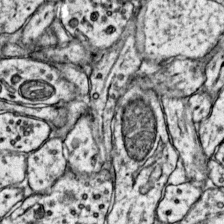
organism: Mouse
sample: Primary visual cortex